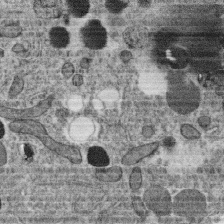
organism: C. elegans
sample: C. elegans oocyte; sperm cells